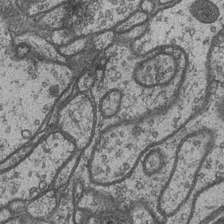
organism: Drosophila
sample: Optic medulla